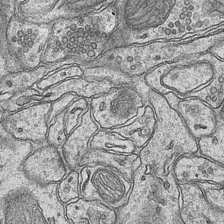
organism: Mouse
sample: CA1 Hippocampus